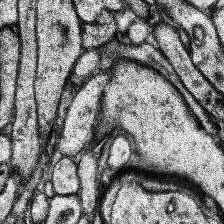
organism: Human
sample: Temporal Lobe